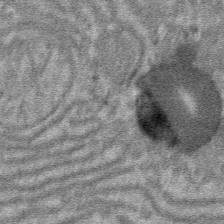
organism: Mouse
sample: Mouse hepatocytes